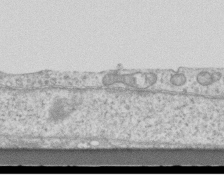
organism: Mouse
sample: Centriole in ependymal cells